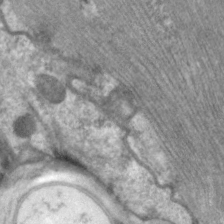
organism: C. elegans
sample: Pharynx